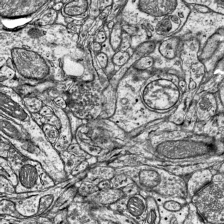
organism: Mouse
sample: Visual Cortex